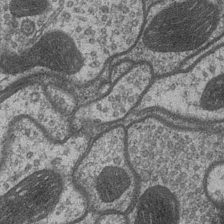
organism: Drosophila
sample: Optic medulla